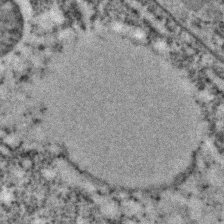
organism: C. elegans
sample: C. elegans embryo